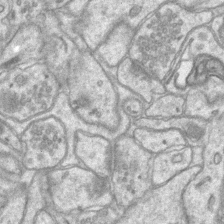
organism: Mouse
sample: CA1 Hippocampus